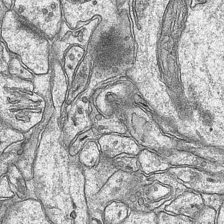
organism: Mouse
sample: CA1 Hippocampus